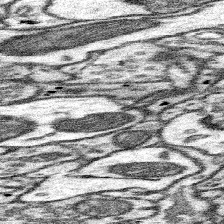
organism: Mouse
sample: Somatosensory cortex neuropil